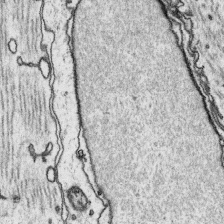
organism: Platynereis dumerilii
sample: Parapodia